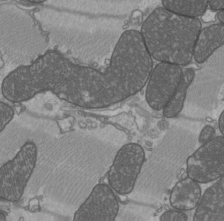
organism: C57BL Mouse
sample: Heart